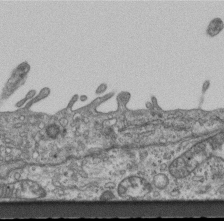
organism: Mouse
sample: Centriole in ependymal cells